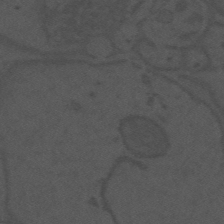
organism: Mouse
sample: Suprachiasmatic nucleus